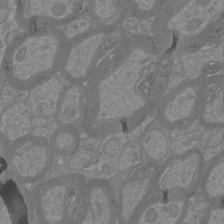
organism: Mouse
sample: Cortical neurons